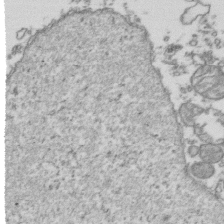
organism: Human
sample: Activated Jurkat CD4+ T cells